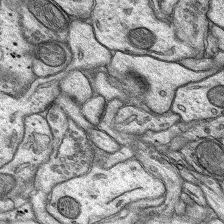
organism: Rat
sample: Hippocampus